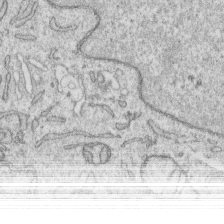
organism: Human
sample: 1205lu cells